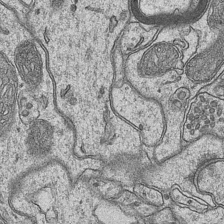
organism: Mouse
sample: CA1 Hippocampus